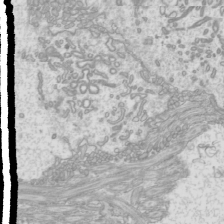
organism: Mouse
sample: Cilia; mouse epididymis